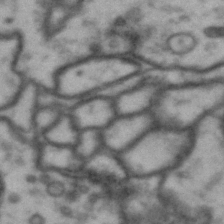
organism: Drosophila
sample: Brain